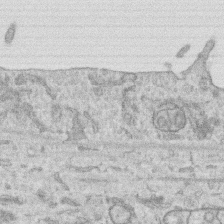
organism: Human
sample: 1205lu cells